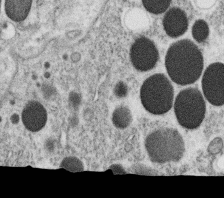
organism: C. elegans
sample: C. elegans oocyte; sperm cells